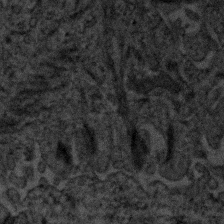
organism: Human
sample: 1205lu cells